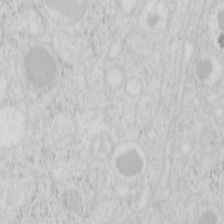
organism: Mouse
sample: Pancreas